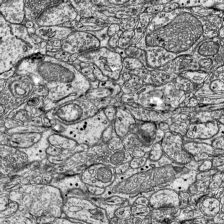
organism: Mouse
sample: Visual Cortex